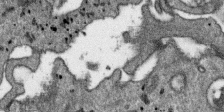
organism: Human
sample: Lung epithelial cells, uninfected (mock) control